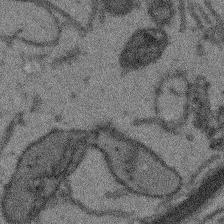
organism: Arabidopsis thaliana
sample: Root tip